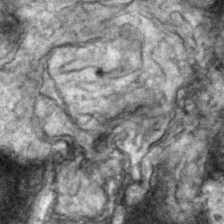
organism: Zebrafish